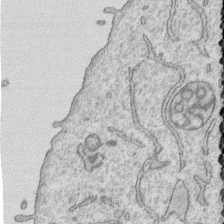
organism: Human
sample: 1205lu cells